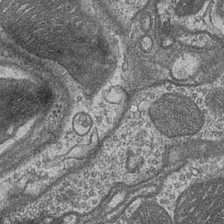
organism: Drosophila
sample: Optic medulla